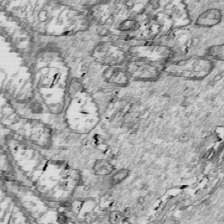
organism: Drosophila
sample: Cell division; meiosis; drosophila spermatocytes